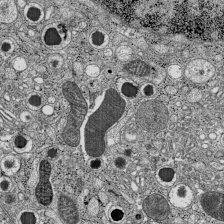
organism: C57BL Mouse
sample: Pancreatic islet